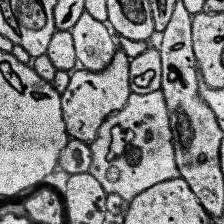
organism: Human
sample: Temporal Lobe